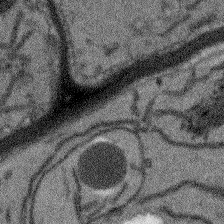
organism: Arabidopsis thaliana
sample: Root tip